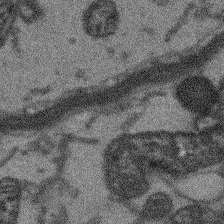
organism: Arabidopsis thaliana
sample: Root tip